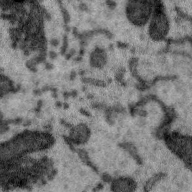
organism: Zebra finch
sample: Brain